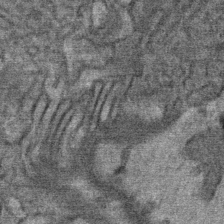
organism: Mouse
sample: Mouse Salivary gland